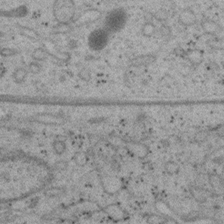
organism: Human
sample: HeLa cells